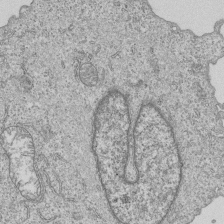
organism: Human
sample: MDA-MB-231 cells